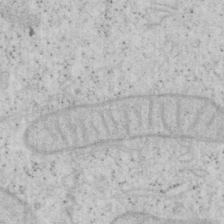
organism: Human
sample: HeLa cells